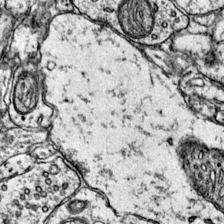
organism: Mouse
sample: Primary visual cortex